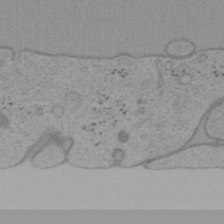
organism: Human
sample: HeLa cells